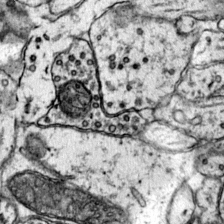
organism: Mouse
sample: Primary visual cortex